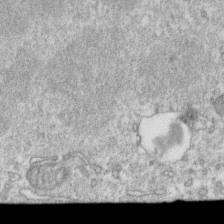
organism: Mouse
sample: Activated OT-1 CD8+ T cells